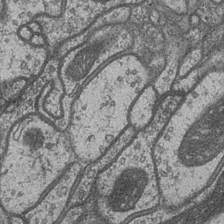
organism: Drosophila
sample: Optic medulla